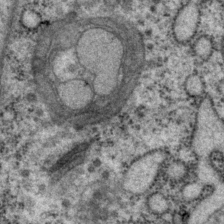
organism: P. pacificus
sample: Pharynx